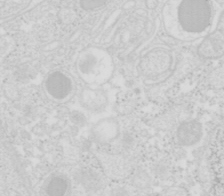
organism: Mouse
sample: Pancreas